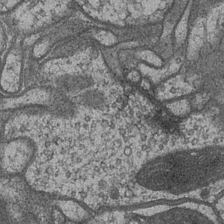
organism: Drosophila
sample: Optic medulla